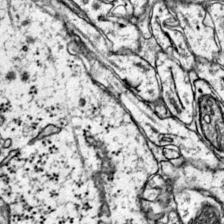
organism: Mouse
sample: Primary visual cortex